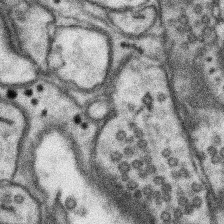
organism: Mouse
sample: Somatosensory cortex neuropil